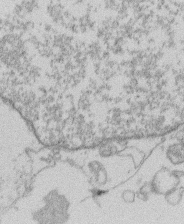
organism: Human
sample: Macrophage cells